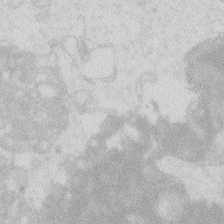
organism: Zebrafish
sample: Macrophage